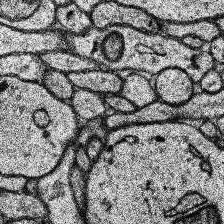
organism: Human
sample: Temporal Lobe